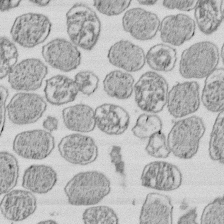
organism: E. coli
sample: Bacterial nucleoid